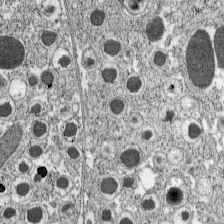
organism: C57BL Mouse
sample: Pancreatic islet